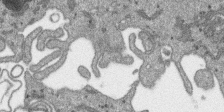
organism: Human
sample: Lung epithelial cells infected with SARS-CoV-2